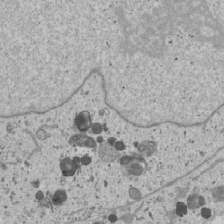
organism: Human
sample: Mitochondria in U2OS cells